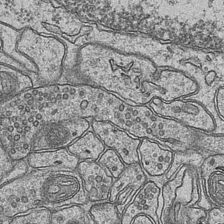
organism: Mouse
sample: CA1 Hippocampus